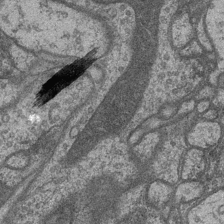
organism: Drosophila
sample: Optic medulla